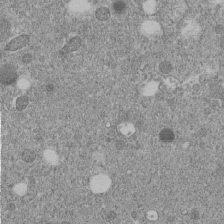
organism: C. elegans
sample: C. elegans embryo early stage